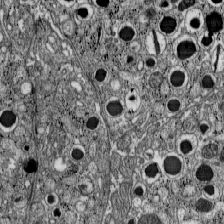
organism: C57BL Mouse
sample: Pancreatic islet